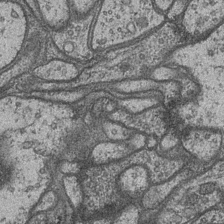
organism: Drosophila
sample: Optic medulla